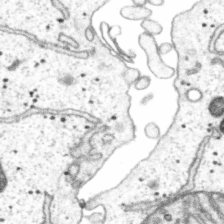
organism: Human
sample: HeLa cells